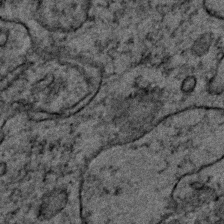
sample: Trachea